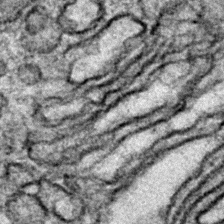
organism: Zebrafish